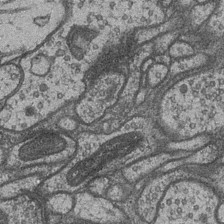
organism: Drosophila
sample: Optic medulla